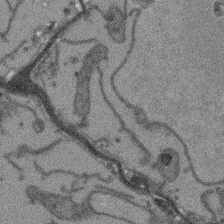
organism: Arabidopsis thaliana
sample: Root tip